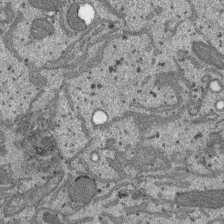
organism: Human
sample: Lung epithelial cells infected with SARS-CoV-2